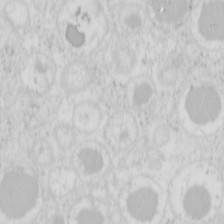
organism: Mouse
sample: Pancreas